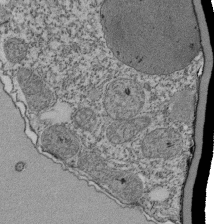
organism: Tetrahymena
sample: Cilia in tetrahymena